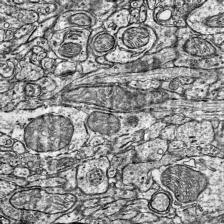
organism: Mouse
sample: Visual Cortex